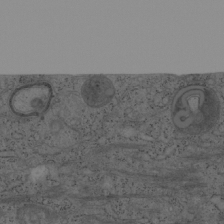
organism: Human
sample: HeLa cells